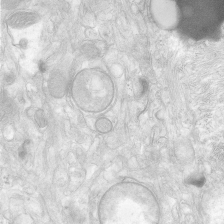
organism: Human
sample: Neocortex